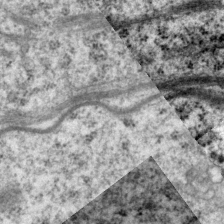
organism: P. pacificus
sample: Pharynx